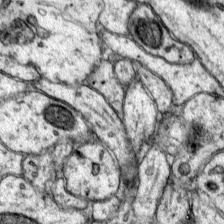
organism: Mouse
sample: Primary visual cortex